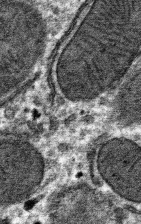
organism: Mouse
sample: Mouse hepatocytes